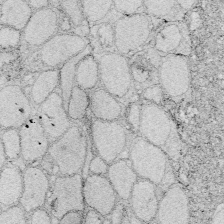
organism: Zebrafish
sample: Whole-Brain